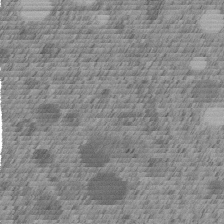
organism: C. elegans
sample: C. elegans embryo early stage